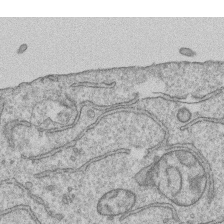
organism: Human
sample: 1205lu cells